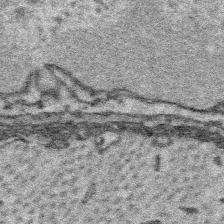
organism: Platynereis dumerilii